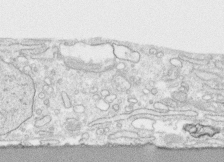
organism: Human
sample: CRL-1474